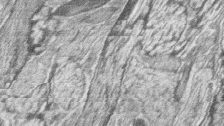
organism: Zebrafish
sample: synaptic ribbons in rod cells and cone cells